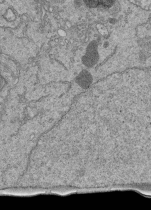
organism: Human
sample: Retinal organoid Rod and Cone cells